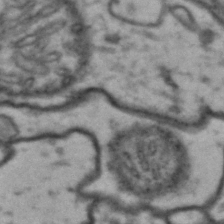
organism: Drosophila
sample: Brain